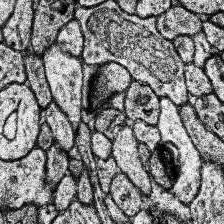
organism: Human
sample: Temporal Lobe